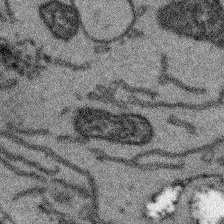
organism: Arabidopsis thaliana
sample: Root tip